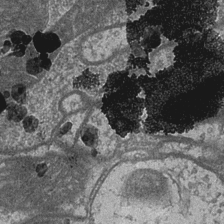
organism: Drosophila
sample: Optic medulla